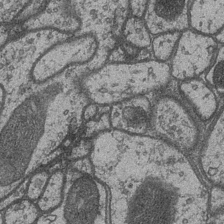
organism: Drosophila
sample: Optic medulla